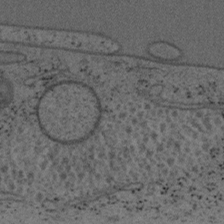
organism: Human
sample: HeLa cells